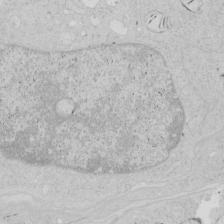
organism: Human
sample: Mitochondria in HCT116 cells